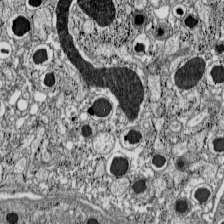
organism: C57BL Mouse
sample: Pancreatic islet